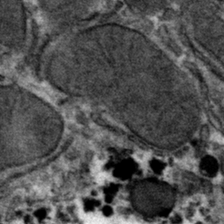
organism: Mouse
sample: Mouse hepatocytes